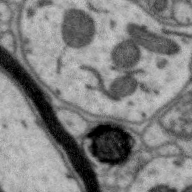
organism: Zebra finch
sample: Brain